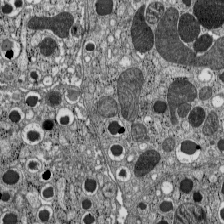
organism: C57BL Mouse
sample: Pancreatic islet